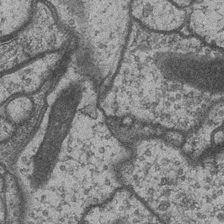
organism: Drosophila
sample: Optic medulla